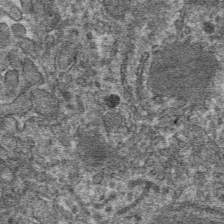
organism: Mouse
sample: Mouse hepatocytes